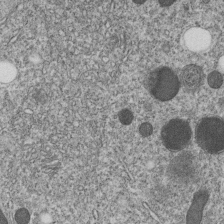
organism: C. elegans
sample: C. elegans embryo early stage